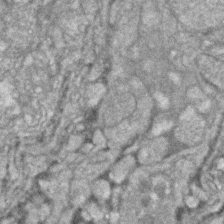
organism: Zebrafish